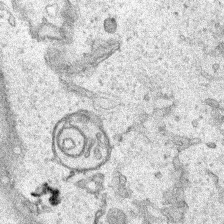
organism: Human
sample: Mitochondria in HCT116 cells